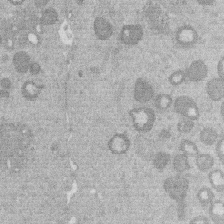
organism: Mouse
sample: Dividing mouse embryo 1 cell stage